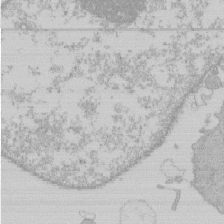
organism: Human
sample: Macrophage cells